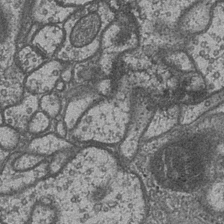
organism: Drosophila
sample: Optic medulla